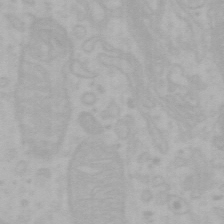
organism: Mouse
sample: Choroid plexus